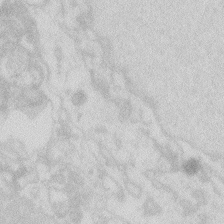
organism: Zebrafish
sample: Macrophage